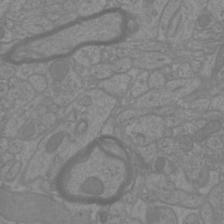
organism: Mouse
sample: Cortical neurons